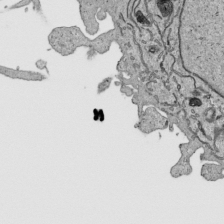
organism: Human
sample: Mitochondria in HCT116 cells